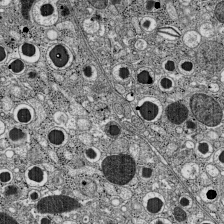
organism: C57BL Mouse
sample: Pancreatic islet